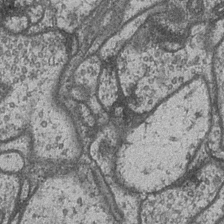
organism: Drosophila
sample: Optic medulla